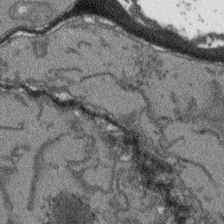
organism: Arabidopsis thaliana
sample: Root tip